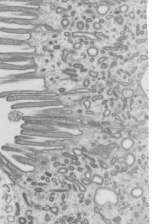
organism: Mouse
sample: Mouse epididymis efferent ductule cilia